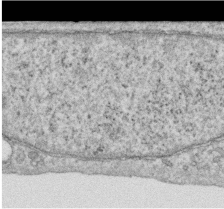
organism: Human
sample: Centriole in RPE cells